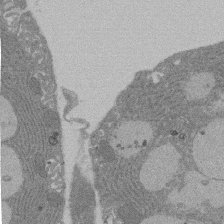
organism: Rat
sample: Salivary granule